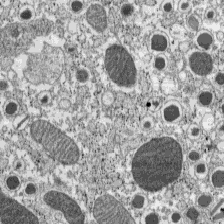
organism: C57BL Mouse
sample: Pancreatic islet